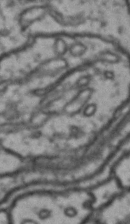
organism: Drosophila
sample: Brain